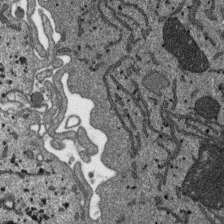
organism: Human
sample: Lung epithelial cells infected with SARS-CoV-2